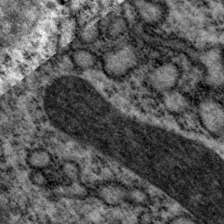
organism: P. pacificus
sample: Pharynx